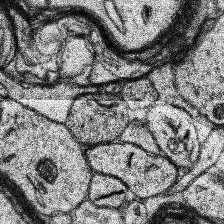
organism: Human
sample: Temporal Lobe